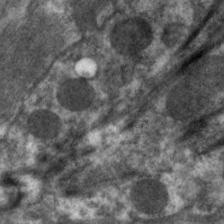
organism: C. elegans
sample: Pharynx